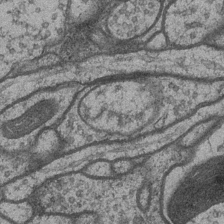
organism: Drosophila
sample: Optic medulla